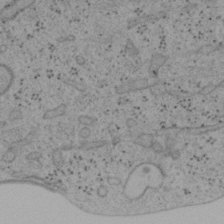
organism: Human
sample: HeLa cells